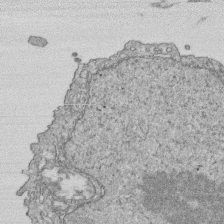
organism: Human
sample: HeLa cell HIV synapse